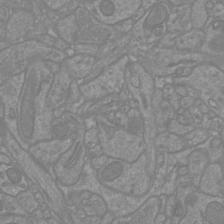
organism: Mouse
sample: Cortical neurons